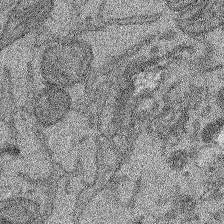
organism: Human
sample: HeLa cells